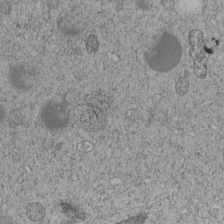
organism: C. elegans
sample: C. elegans embryo early stage